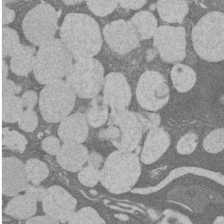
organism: Rat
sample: Salivary granule